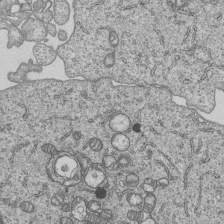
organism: Human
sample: MDA-MB-231 cells